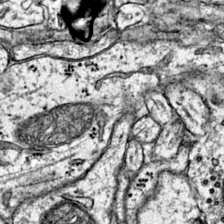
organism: Mouse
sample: Primary visual cortex